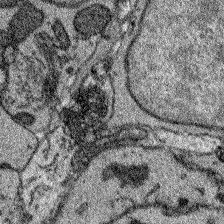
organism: Zebrafish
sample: Larval olfactory bulb